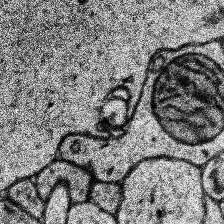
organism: Human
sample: Temporal Lobe